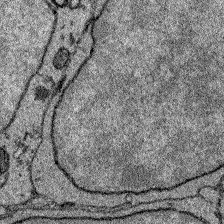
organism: Zebrafish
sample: Larval olfactory bulb